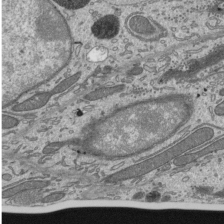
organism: Mouse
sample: Mouse epididymis efferent ductule cilia